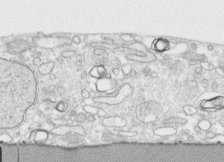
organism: Human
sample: CRL-1474